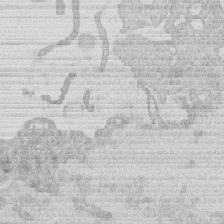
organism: Human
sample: Macrophage cells